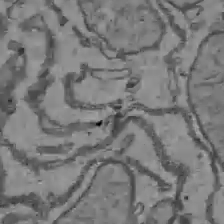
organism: C57BL Mouse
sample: Liver